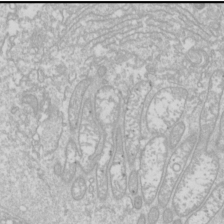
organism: Drosophila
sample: Cell division; meiosis; drosophila spermatocytes